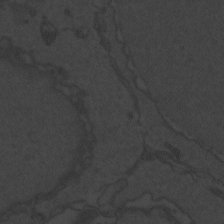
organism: Zebrafish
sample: Macrophage infected with Toxoplasma gondii